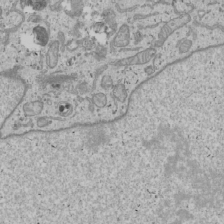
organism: Human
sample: Mitochondria in U2OS cells